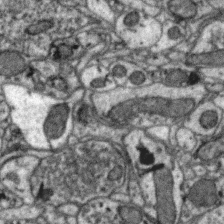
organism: Zebra finch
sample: Brain